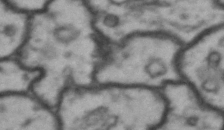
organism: Drosophila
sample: Brain